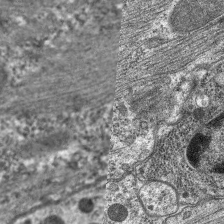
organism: C. elegans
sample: Pharynx